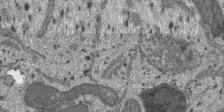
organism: Human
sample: Lung epithelial cells infected with SARS-CoV-2